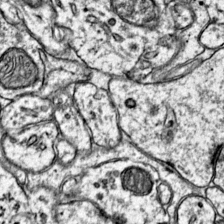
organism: Mouse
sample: Primary visual cortex